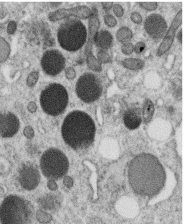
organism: C. elegans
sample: C. elegans oocyte; sperm cells